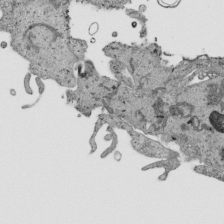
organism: Human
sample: Mitochondria in HCT116 cells